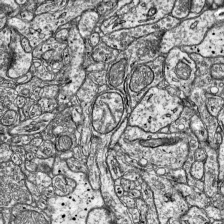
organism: Mouse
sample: Visual Cortex